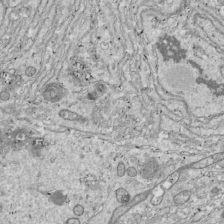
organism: Drosophila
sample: Cell division; meiosis; drosophila spermatocytes